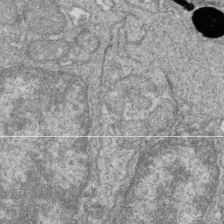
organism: Zebrafish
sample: Cilia; retinal pigment epithelium